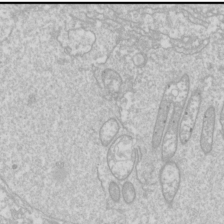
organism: Drosophila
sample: Cell division; meiosis; drosophila spermatocytes